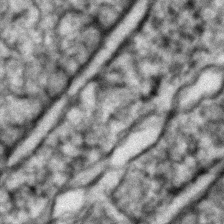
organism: Zebrafish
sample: Zebrafish embryo